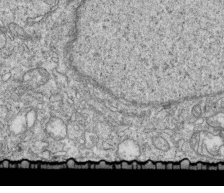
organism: Human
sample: HeLa cell HIV synapse